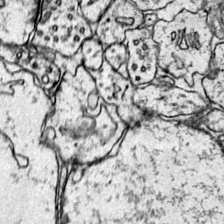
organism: Mouse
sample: Primary visual cortex